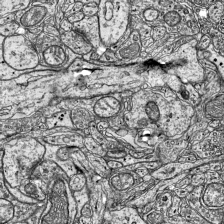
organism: Mouse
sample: Visual Cortex